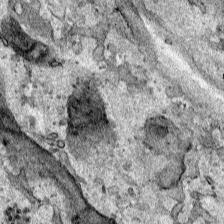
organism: Human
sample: Mitochondria in HCT116 cells